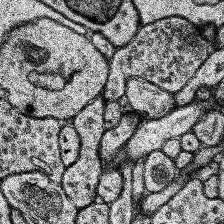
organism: Human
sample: Temporal Lobe